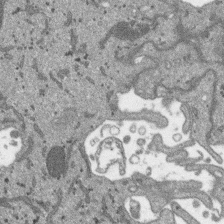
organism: Human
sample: Lung epithelial cells infected with SARS-CoV-2